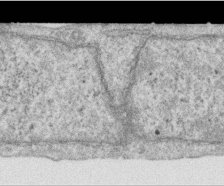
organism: Human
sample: Centriole in RPE cells